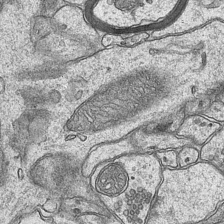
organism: Mouse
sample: CA1 Hippocampus